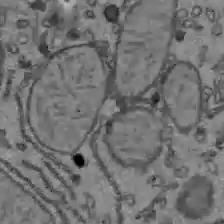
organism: C57BL Mouse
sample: Liver